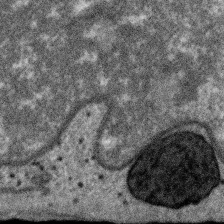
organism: Human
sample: Lung epithelial cells infected with SARS-CoV-2